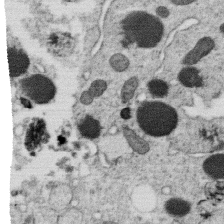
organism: C. elegans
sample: C. elegans oocyte; sperm cells